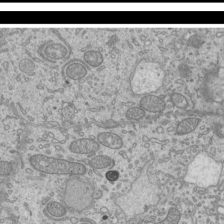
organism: Mouse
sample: Cilia; mouse epididymis